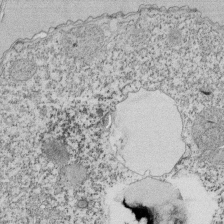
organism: Tetrahymena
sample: Cilia in tetrahymena